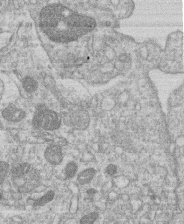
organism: Human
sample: Macrophage cells